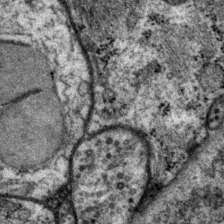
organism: P. pacificus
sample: Pharynx